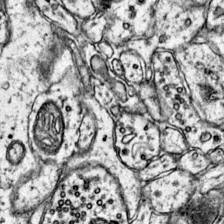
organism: Mouse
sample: Primary visual cortex